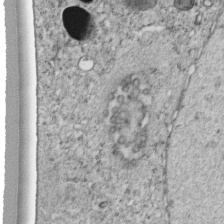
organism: C. elegans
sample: C. elegans embryo early stage